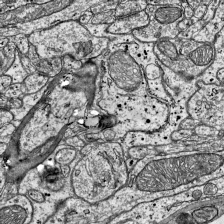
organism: Mouse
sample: Visual Cortex